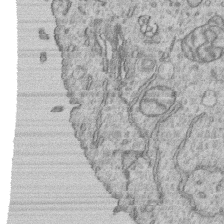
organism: Human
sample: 1205lu cells